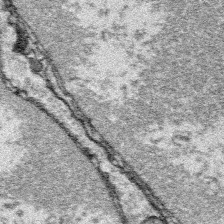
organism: Platynereis dumerilii